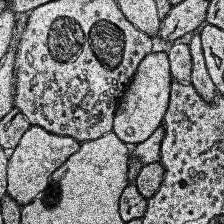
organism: Human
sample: Temporal Lobe